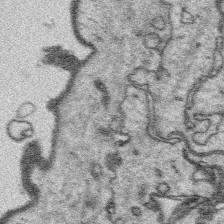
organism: Platynereis dumerilii